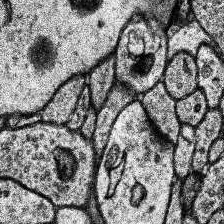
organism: Human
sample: Temporal Lobe